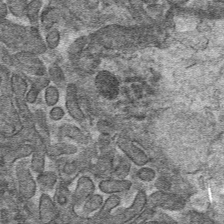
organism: Mouse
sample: Mouse hepatocytes